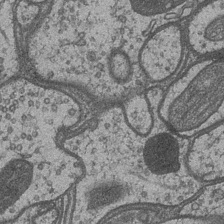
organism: Drosophila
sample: Optic medulla